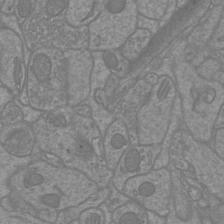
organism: Mouse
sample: Cortical neurons